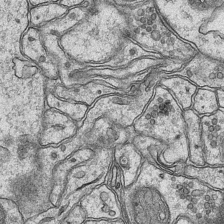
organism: Mouse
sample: CA1 Hippocampus